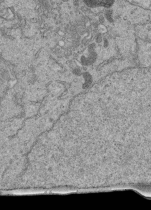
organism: Human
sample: Retinal organoid Rod and Cone cells